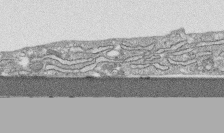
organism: Human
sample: CRL-1474